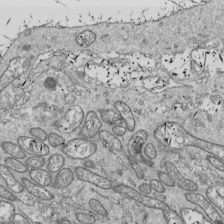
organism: Drosophila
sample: Cell division; meiosis; drosophila spermatocytes